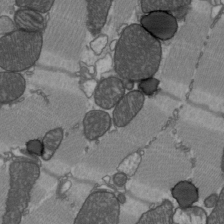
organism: C57BL Mouse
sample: Heart